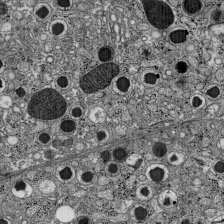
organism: C57BL Mouse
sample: Pancreatic islet